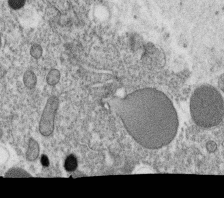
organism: C. elegans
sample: C. elegans oocyte; sperm cells